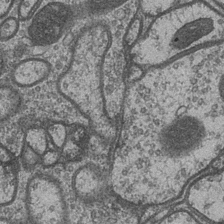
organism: Drosophila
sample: Optic medulla